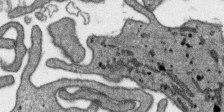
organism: Human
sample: Lung epithelial cells, uninfected (mock) control